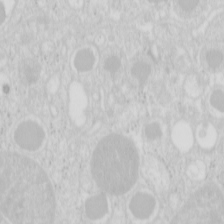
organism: Mouse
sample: Pancreas